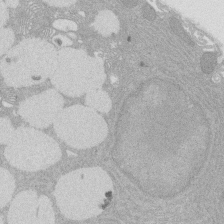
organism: Rat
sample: Salivary granule